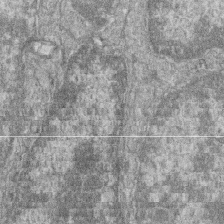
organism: Zebrafish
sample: Cilia; retinal pigment epithelium